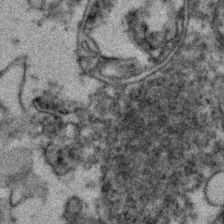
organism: Zebrafish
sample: Zebrafish embryo